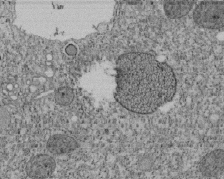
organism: Tetrahymena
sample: Cilia in tetrahymena